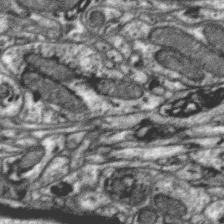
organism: Zebra finch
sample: Brain